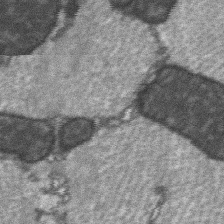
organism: C57BL Mouse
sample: Soleus